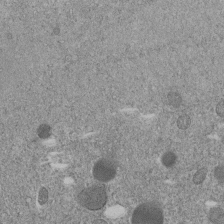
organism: C. elegans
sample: C. elegans embryo early stage